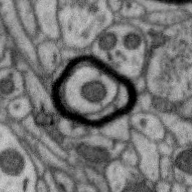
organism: Zebra finch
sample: Brain